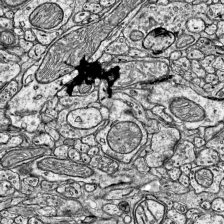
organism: Mouse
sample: Visual Cortex